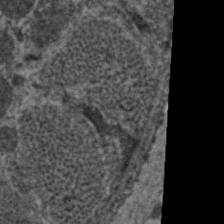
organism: C. elegans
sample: Pharynx